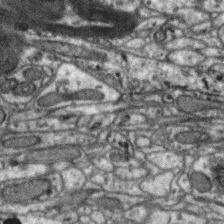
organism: Zebra finch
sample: Brain